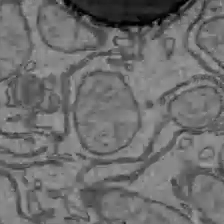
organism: C57BL Mouse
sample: Liver